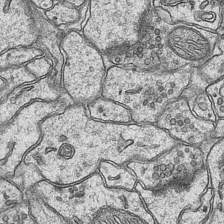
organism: Mouse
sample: CA1 Hippocampus